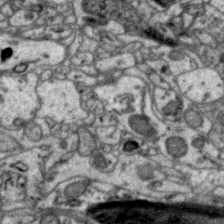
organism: Zebra finch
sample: Brain